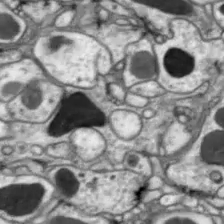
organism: Drosophila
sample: Optic lobe